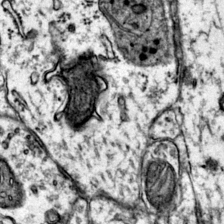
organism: Mouse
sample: Primary visual cortex